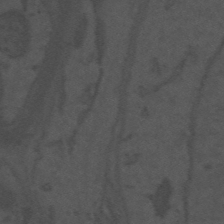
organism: Mouse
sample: Suprachiasmatic nucleus